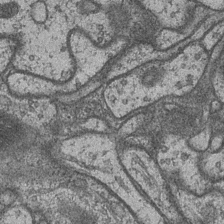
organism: Drosophila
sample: Optic medulla